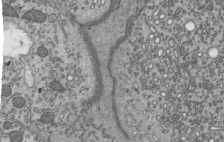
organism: Mouse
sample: Mouse epididymis efferent ductule cilia